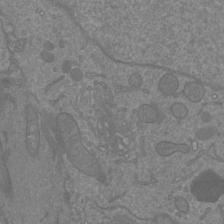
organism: Mouse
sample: Cortical neurons